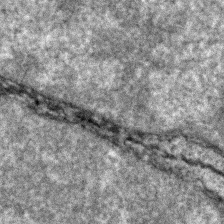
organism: Zebrafish